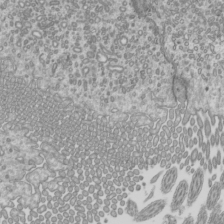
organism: Mouse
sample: Cilia; mouse epididymis